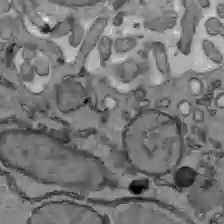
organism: C57BL Mouse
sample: Liver